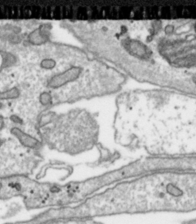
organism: Toxoplasma gondii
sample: Parasites in a vacuole inside a host cell